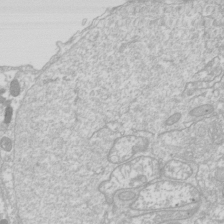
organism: Drosophila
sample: Cell division; meiosis; drosophila spermatocytes